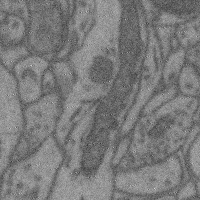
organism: Mouse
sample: Cerebral cortex